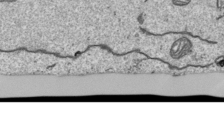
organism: Human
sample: Mitochondria in HCT116 cells